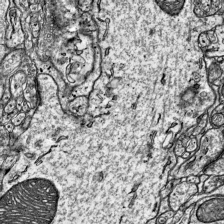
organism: Mouse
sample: Visual Cortex